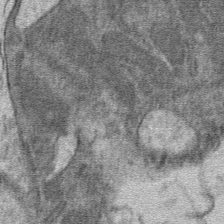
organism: Mouse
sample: Mouse hepatocytes